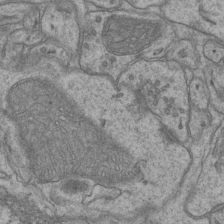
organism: Mouse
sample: CA1 Hippocampus